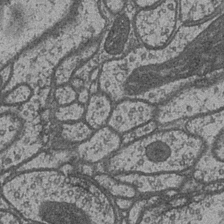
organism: Drosophila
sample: Optic medulla